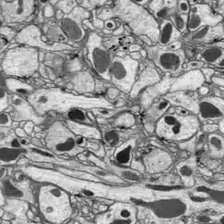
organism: Drosophila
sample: Optic lobe